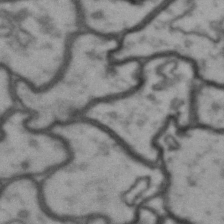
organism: Drosophila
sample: Brain